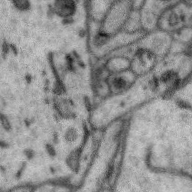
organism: Zebra finch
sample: Brain